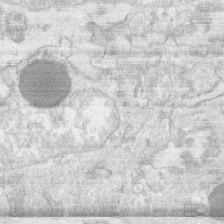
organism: Human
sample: CRL-1474